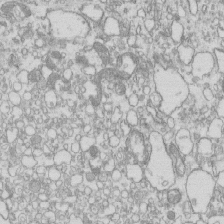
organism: Mouse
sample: Macrophages